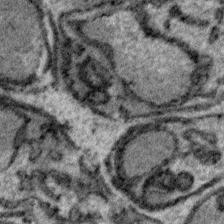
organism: Plasmodium falciparum